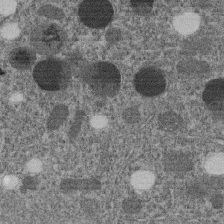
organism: C. elegans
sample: C. elegans embryo early stage